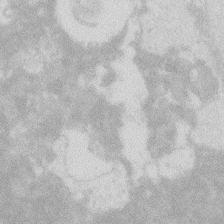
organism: Zebrafish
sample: Macrophage